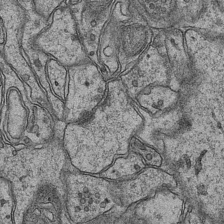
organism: Mouse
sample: CA1 Hippocampus